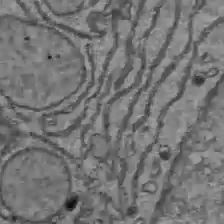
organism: C57BL Mouse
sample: Liver